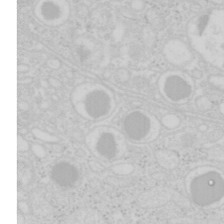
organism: Mouse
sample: Pancreas